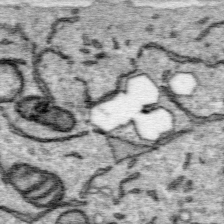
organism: Human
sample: HeLa cells